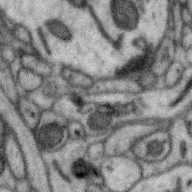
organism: Zebra finch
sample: Brain